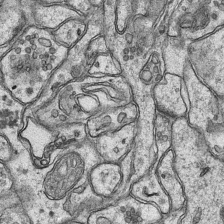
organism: Mouse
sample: CA1 Hippocampus